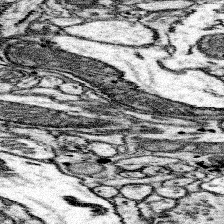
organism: Mouse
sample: Somatosensory cortex neuropil